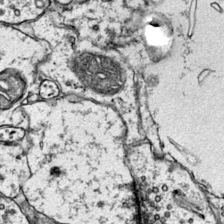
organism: Mouse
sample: Primary visual cortex